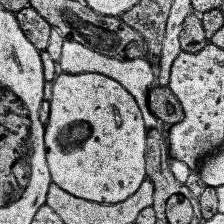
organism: Human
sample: Temporal Lobe